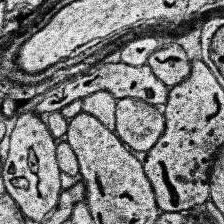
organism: Human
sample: Temporal Lobe